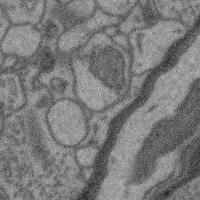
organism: Mouse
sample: Cerebral cortex